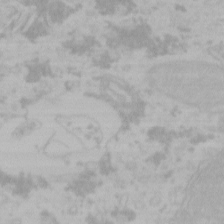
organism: Mouse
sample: Choroid plexus